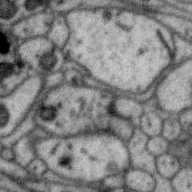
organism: Zebra finch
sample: Brain